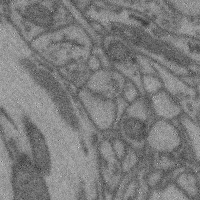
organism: Mouse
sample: Cerebral cortex